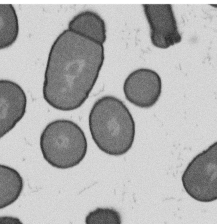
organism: B. subtilis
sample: Bacterial spore